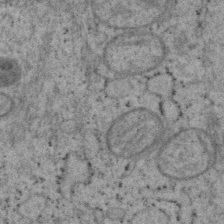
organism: Human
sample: HeLa cells